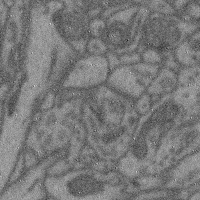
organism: Mouse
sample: Cerebral cortex